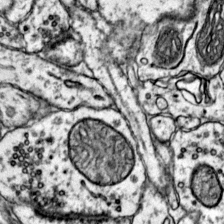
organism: Mouse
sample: Primary visual cortex